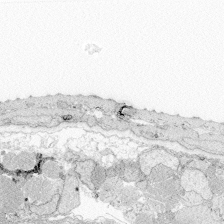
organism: Zebrafish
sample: Whole-Brain